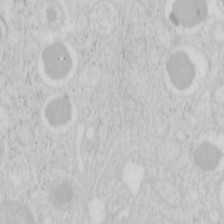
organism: Mouse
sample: Pancreas